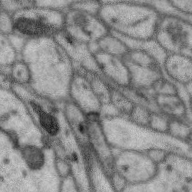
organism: Zebra finch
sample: Brain